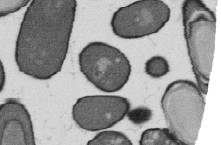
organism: B. subtilis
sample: Bacterial spore